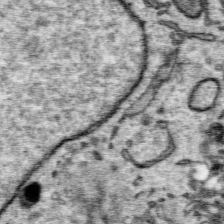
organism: Human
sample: HeLa cells